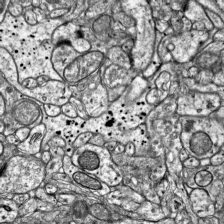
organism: Mouse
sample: Visual Cortex